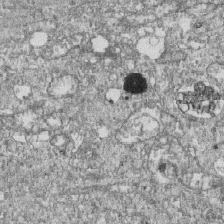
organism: Human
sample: HeLa cell HIV synapse